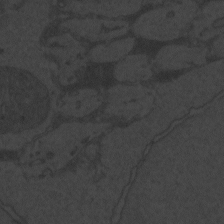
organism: Zebrafish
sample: Macrophage infected with Toxoplasma gondii